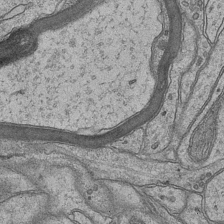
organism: Mouse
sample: CA1 Hippocampus